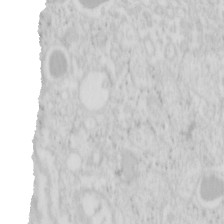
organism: Mouse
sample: Pancreas